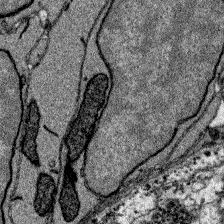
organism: Zebrafish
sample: Larval olfactory bulb